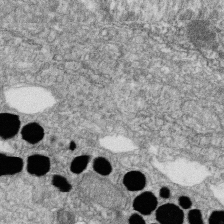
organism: Zebrafish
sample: Cilia; retinal pigment epithelium